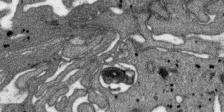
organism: Human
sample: Lung epithelial cells, uninfected (mock) control